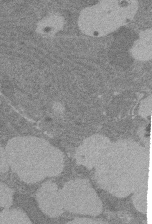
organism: Rat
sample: Salivary granule